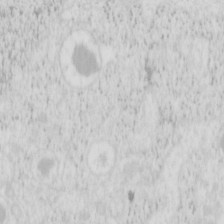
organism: Mouse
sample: Pancreas